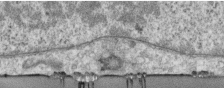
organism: Human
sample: Centriole in RPE cells